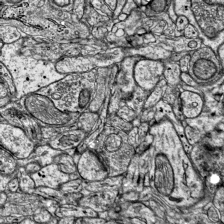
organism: Mouse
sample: Visual Cortex